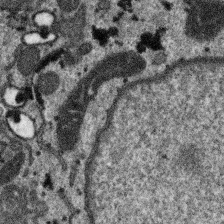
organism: Human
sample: Lung epithelial cells infected with SARS-CoV-2